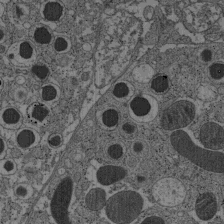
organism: C57BL Mouse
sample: Pancreatic islet